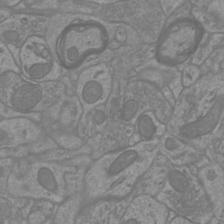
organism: Mouse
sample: Cortical neurons